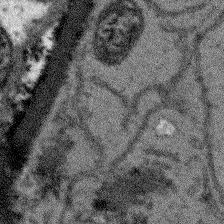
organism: Arabidopsis thaliana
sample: Root tip